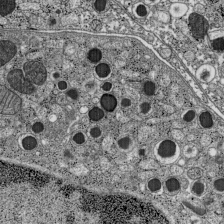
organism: C57BL Mouse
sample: Pancreatic islet